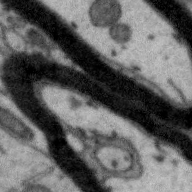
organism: Zebra finch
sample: Brain